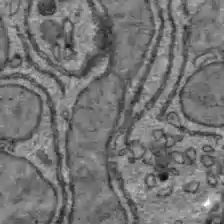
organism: C57BL Mouse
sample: Liver